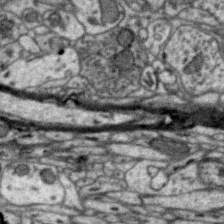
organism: Zebra finch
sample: Brain